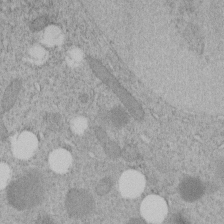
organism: C. elegans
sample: C. elegans embryo early stage